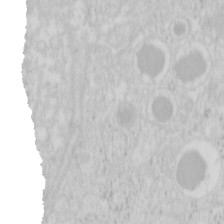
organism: Mouse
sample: Pancreas